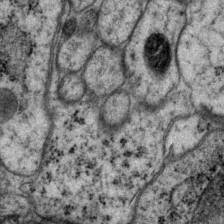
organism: P. pacificus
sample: Pharynx